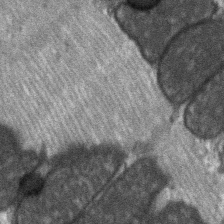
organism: C57BL Mouse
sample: Soleus